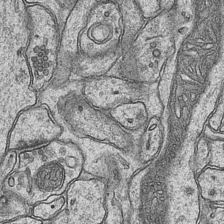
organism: Mouse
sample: CA1 Hippocampus